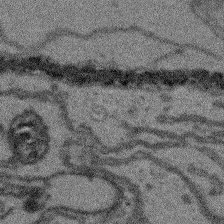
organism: Arabidopsis thaliana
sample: Root tip